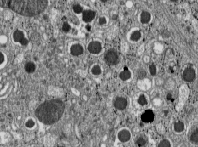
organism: C57BL Mouse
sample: Pancreatic islet